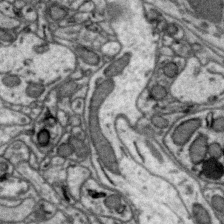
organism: Zebra finch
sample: Brain